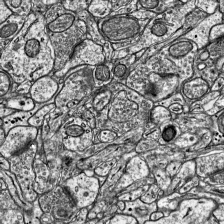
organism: Mouse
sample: Visual Cortex